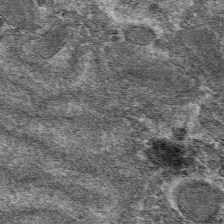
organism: Mouse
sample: Mouse hepatocytes